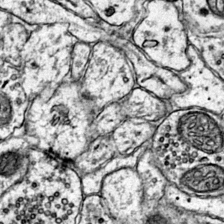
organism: Mouse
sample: Primary visual cortex